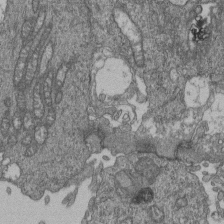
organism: Human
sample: Retinal organoid Rod and Cone cells